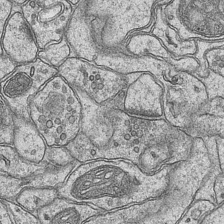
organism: Mouse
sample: CA1 Hippocampus